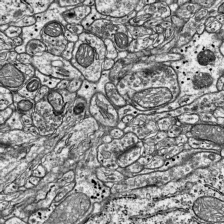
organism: Mouse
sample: Visual Cortex